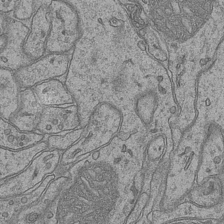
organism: Mouse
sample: CA1 Hippocampus